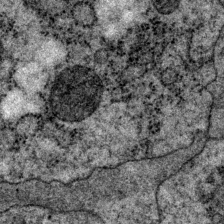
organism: P. pacificus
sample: Pharynx